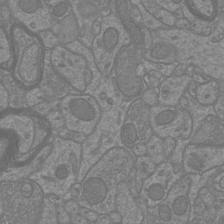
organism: Mouse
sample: Cortical neurons